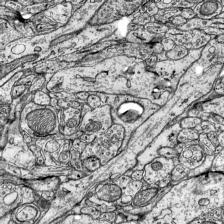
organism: Mouse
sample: Visual Cortex